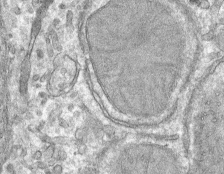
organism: Mouse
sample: Mouse hepatocytes